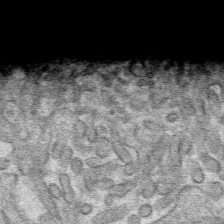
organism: Mouse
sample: Mouse hepatocytes